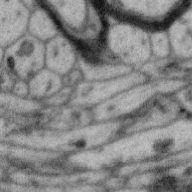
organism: Zebra finch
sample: Brain